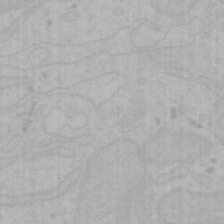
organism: Mouse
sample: Choroid plexus